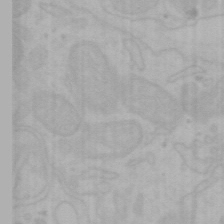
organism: Mouse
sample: Choroid plexus